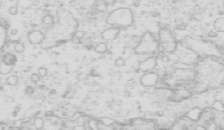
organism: Mouse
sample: Multiciliated cells